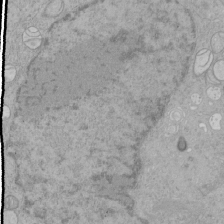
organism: Human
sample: Mitochondria in HCT116 cells